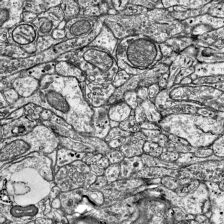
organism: Mouse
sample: Visual Cortex